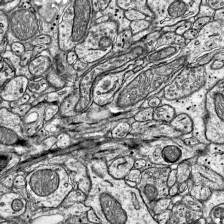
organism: Mouse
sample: Visual Cortex